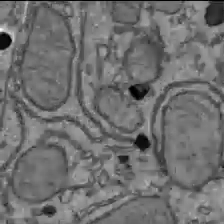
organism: C57BL Mouse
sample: Liver